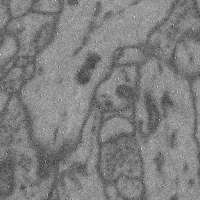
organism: Mouse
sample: Cerebral cortex